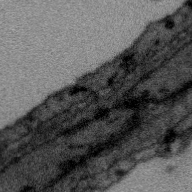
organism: Zebra finch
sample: Brain